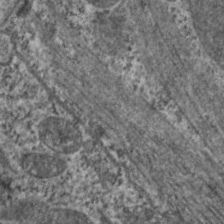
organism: C. elegans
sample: Pharynx